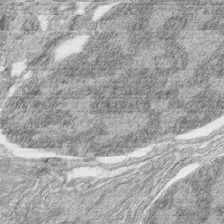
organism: Zebrafish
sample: synaptic ribbons in rod cells and cone cells